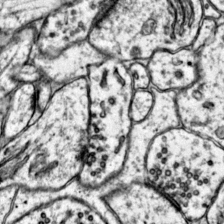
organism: Mouse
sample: Primary visual cortex